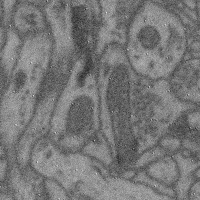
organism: Mouse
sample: Cerebral cortex